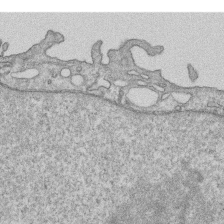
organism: Human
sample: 1205lu cells